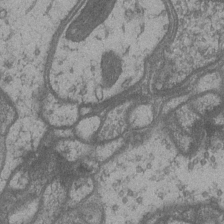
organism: Drosophila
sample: Optic medulla